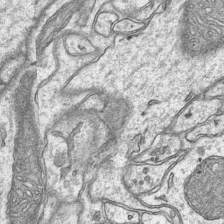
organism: Mouse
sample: CA1 Hippocampus